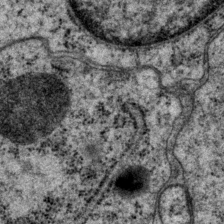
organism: P. pacificus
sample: Pharynx